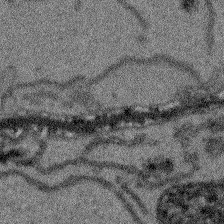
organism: Arabidopsis thaliana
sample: Root tip